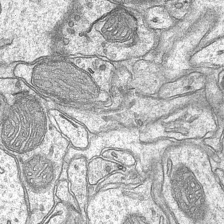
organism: Mouse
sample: CA1 Hippocampus